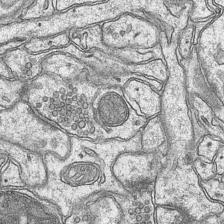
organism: Mouse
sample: CA1 Hippocampus